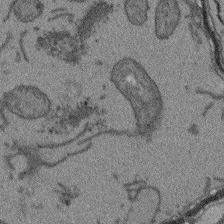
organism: Arabidopsis thaliana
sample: Root tip